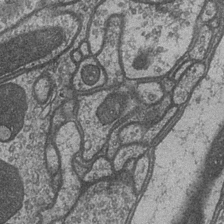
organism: Drosophila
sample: Optic medulla